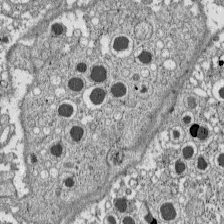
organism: C57BL Mouse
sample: Pancreatic islet